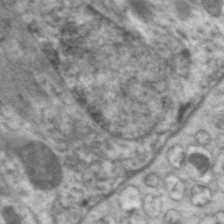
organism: C. elegans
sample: Pharynx